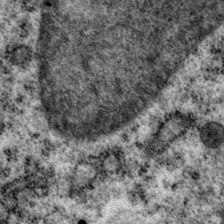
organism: P. pacificus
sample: Pharynx